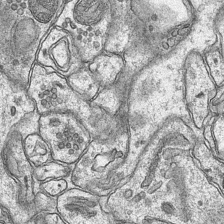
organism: Mouse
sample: CA1 Hippocampus